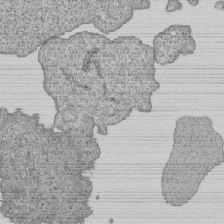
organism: Human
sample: MDA-MB-231 cells